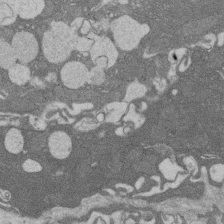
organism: Rat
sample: Salivary granule